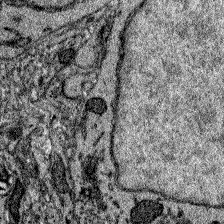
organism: Zebrafish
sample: Larval olfactory bulb